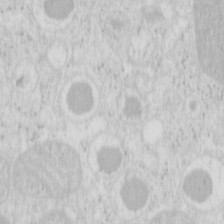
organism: Mouse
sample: Pancreas